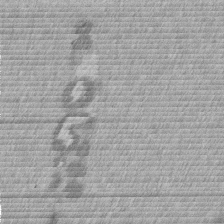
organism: Mouse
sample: Dividing mouse embryo 1 cell stage